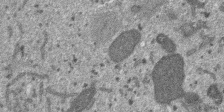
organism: Human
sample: Lung epithelial cells infected with SARS-CoV-2